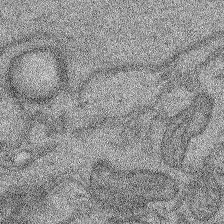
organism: Human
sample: HeLa cells